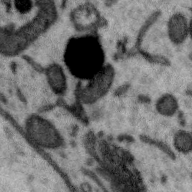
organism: Zebra finch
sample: Brain